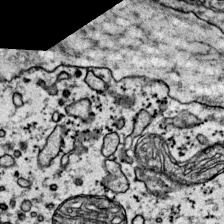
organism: Mouse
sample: Primary visual cortex